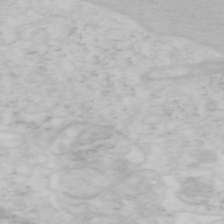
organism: Mouse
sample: OT-I killer T cells with ID8 ovarian cancer cells